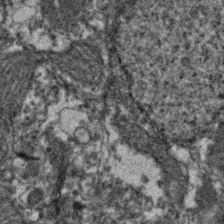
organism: Zebrafish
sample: Zebrafish embryo